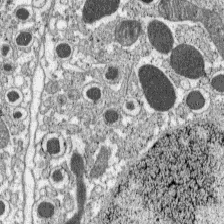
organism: C57BL Mouse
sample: Pancreatic islet